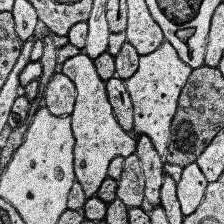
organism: Human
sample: Temporal Lobe